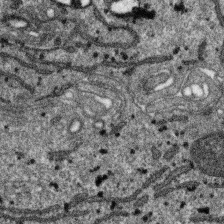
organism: Human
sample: Lung epithelial cells infected with SARS-CoV-2